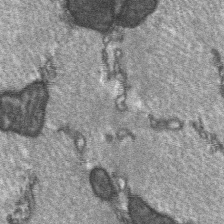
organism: C57BL Mouse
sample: Soleus